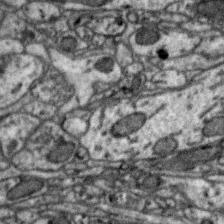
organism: Zebra finch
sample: Brain